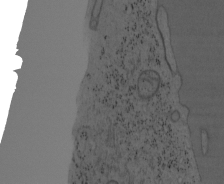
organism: Mouse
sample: OT-I killer T cells with ID8 ovarian cancer cells